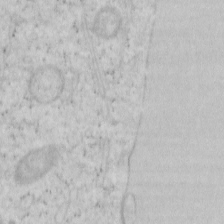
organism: Human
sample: HeLa cells